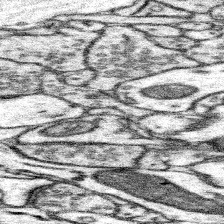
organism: Mouse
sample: Somatosensory cortex neuropil